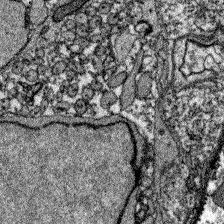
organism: Zebrafish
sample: Larval olfactory bulb